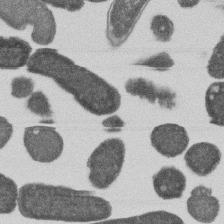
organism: E. coli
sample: Bacterial nucleoid